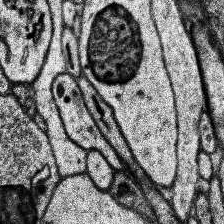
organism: Human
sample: Temporal Lobe